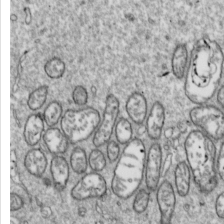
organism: Drosophila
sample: Cell division; meiosis; drosophila spermatocytes